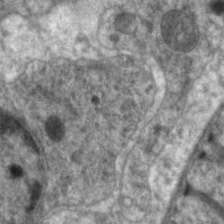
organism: C. elegans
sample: Pharynx